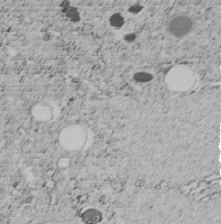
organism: C. elegans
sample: C. elegans embryo early stage